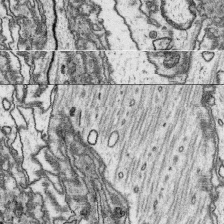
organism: Platynereis dumerilii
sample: Parapodia